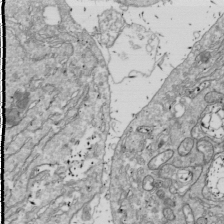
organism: Drosophila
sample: Cell division; meiosis; drosophila spermatocytes